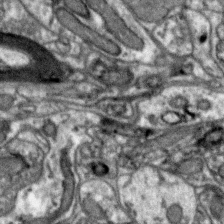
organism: Zebra finch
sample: Brain